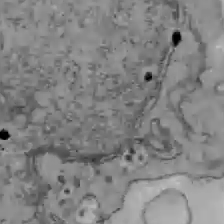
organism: C57BL Mouse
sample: Liver